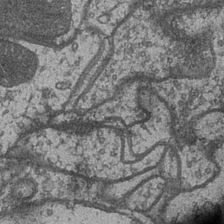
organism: Drosophila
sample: Optic medulla